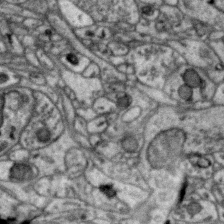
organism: Zebra finch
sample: Brain